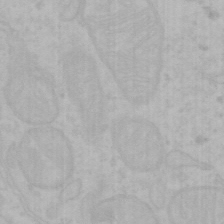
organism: Mouse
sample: Choroid plexus